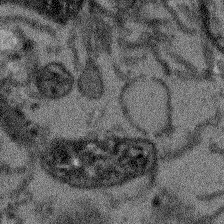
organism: Arabidopsis thaliana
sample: Root tip